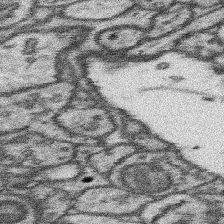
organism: Mouse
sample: Somatosensory cortex neuropil